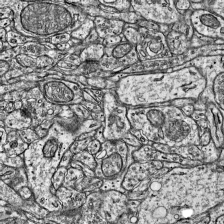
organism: Mouse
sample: Visual Cortex